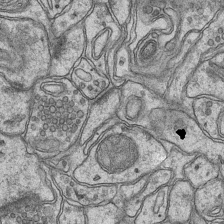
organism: Mouse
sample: CA1 Hippocampus